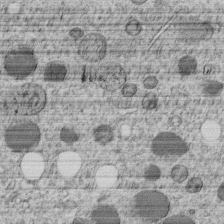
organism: C. elegans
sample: C. elegans embryo early stage